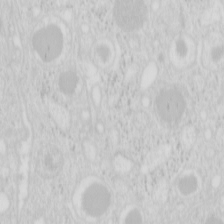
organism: Mouse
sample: Pancreas